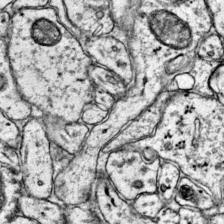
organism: Mouse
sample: Primary visual cortex